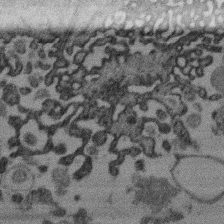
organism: Mouse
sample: Dividing mouse embryo 1 cell stage